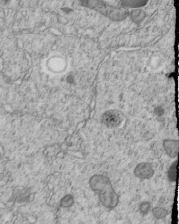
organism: C. elegans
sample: C. elegans embryo early stage